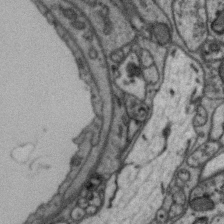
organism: Zebra finch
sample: Brain